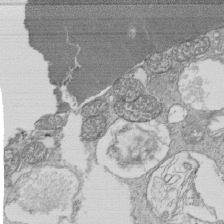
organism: Tetrahymena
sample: Cilia in tetrahymena